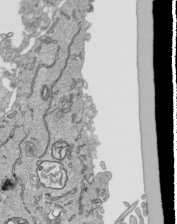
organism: Human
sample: Mitochondria in HCT116 cells